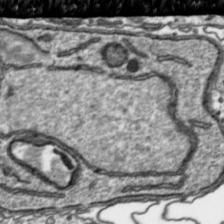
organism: Toxoplasma gondii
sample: Parasites in a vacuole inside a host cell